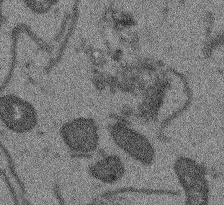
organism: Arabidopsis thaliana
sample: Root tip